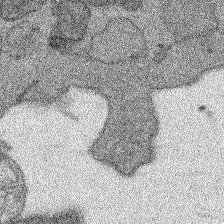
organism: Human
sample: HeLa cells